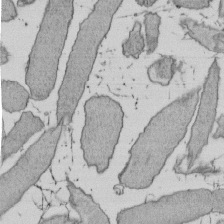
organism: E. coli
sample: Bacterial nucleoid